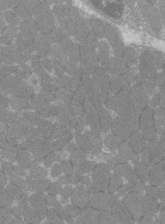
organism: C57BL Mouse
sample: Tibialis anterior muscle cell